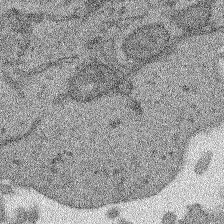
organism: Human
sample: HeLa cells